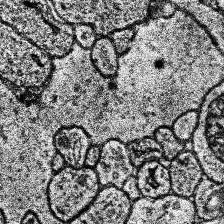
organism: Human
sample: Temporal Lobe